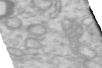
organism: Human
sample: Centriole in RPE cells